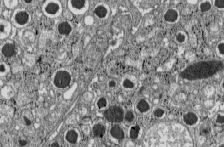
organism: C57BL Mouse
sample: Pancreatic islet